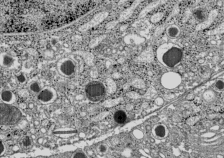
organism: C57BL Mouse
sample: Pancreatic islet